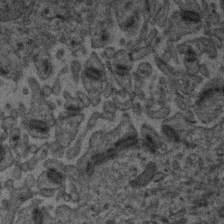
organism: Human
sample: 1205lu cells